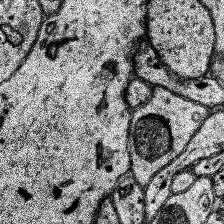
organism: Human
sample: Temporal Lobe